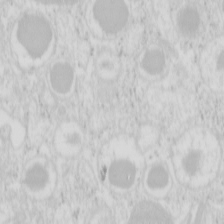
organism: Mouse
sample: Pancreas